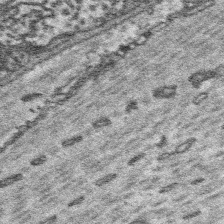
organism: Platynereis dumerilii